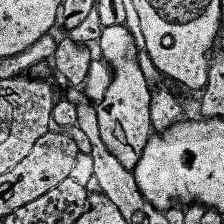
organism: Human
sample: Temporal Lobe